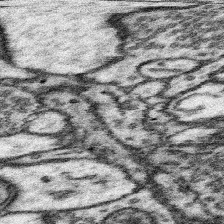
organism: Mouse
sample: Somatosensory cortex neuropil